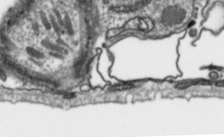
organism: Toxoplasma gondii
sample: Parasites in a vacuole inside a host cell